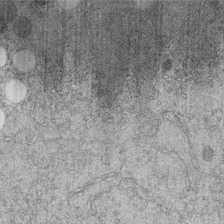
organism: C. elegans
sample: C. elegans embryo early stage